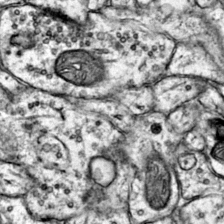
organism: Mouse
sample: Primary visual cortex